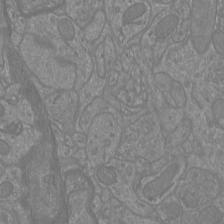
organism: Mouse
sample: Cortical neurons